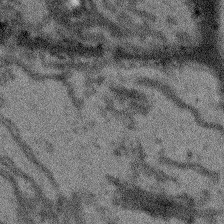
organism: Arabidopsis thaliana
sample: Root tip